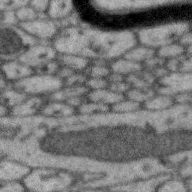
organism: Zebra finch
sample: Brain